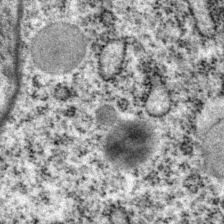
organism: P. pacificus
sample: Pharynx